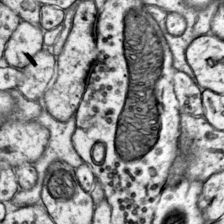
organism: Mouse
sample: Primary visual cortex